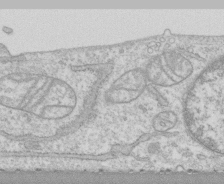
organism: Human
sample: CRL-1474